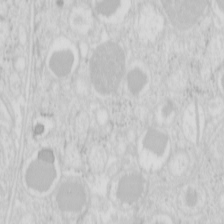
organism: Mouse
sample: Pancreas